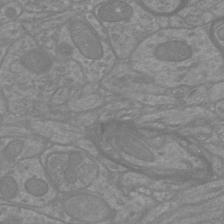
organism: Mouse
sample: Cortical neurons